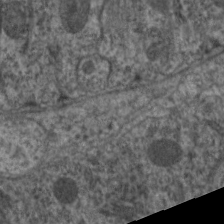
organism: C. elegans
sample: Pharynx